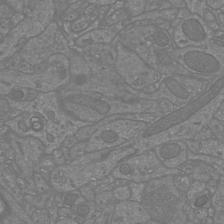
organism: Mouse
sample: Cortical neurons